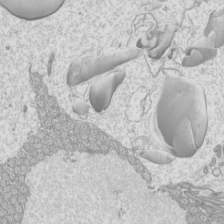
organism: Mouse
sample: Cilia; mouse epididymis